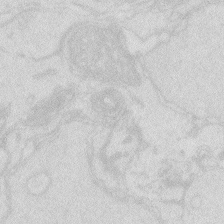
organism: Zebrafish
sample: Macrophage